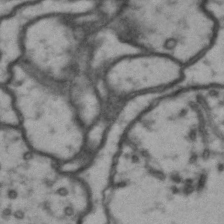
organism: Drosophila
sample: Brain